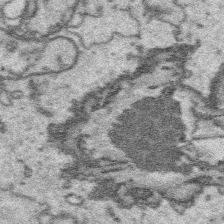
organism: Platynereis dumerilii